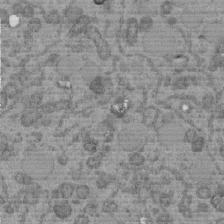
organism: C. elegans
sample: C. elegans embryo early stage